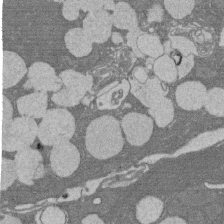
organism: Rat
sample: Salivary granule